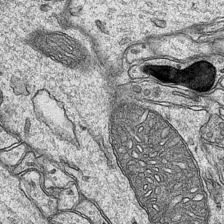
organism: Mouse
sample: CA1 Hippocampus